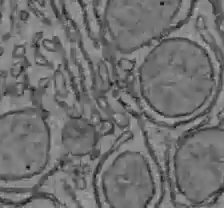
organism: C57BL Mouse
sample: Liver